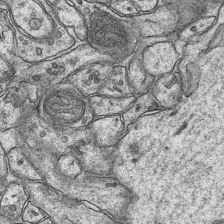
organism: Mouse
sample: CA1 Hippocampus